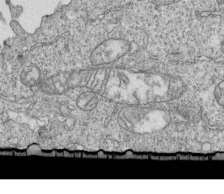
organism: Human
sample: HeLa cell HIV synapse